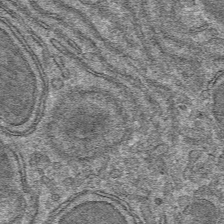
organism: Mouse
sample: Mouse hepatocytes